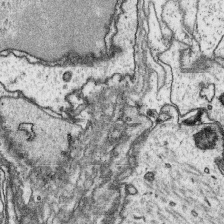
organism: Platynereis dumerilii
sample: Parapodia